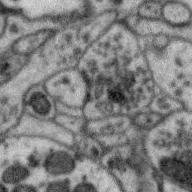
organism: Zebra finch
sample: Brain